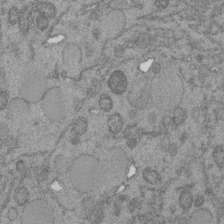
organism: C. elegans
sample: C. elegans embryo early stage